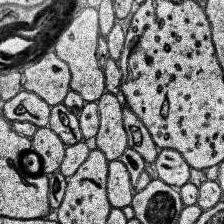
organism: Human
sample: Temporal Lobe